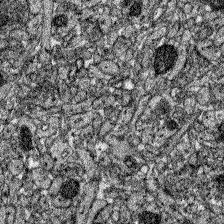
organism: Zebrafish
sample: Larval olfactory bulb